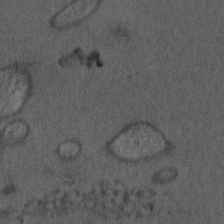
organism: Human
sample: HeLa cells